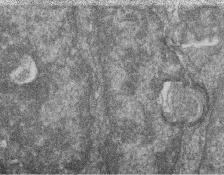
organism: Zebrafish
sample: Cilia; retinal pigment epithelium